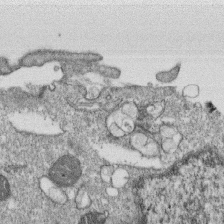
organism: African green monkey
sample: Vero E6 cells infected with SARS-CoV-2